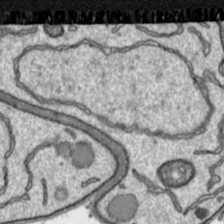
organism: Toxoplasma gondii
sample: Parasites in a vacuole inside a host cell